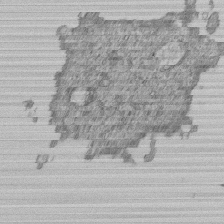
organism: Human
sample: MDA-MB-231 cells